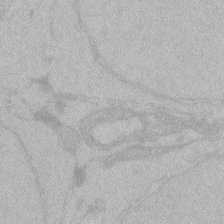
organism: Zebrafish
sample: Macrophage infected with Toxoplasma gondii